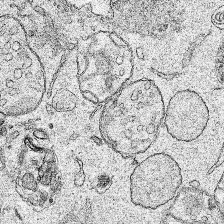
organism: Human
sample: Mitochondria in HCT116 cells